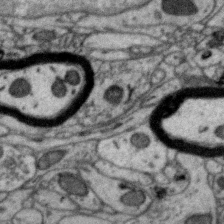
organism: Zebra finch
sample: Brain